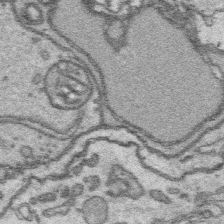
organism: Platynereis dumerilii